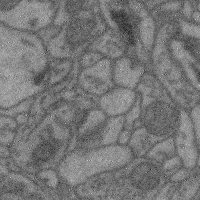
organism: Mouse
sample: Cerebral cortex